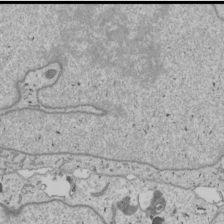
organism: Human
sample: Mitochondria in U2OS cells